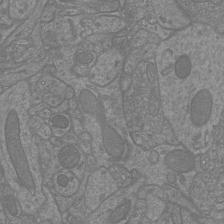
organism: Mouse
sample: Cortical neurons